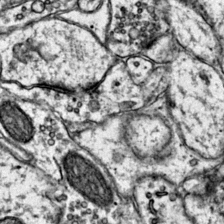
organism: Mouse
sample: Primary visual cortex